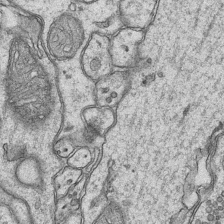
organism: Mouse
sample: CA1 Hippocampus